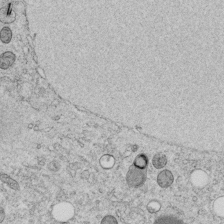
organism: C. elegans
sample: C. elegans embryo early stage